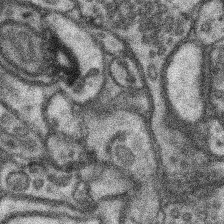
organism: Mouse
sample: Somatosensory cortex neuropil